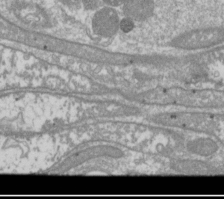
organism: Drosophila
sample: Cell division; meiosis; drosophila spermatocytes